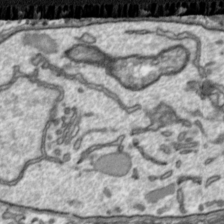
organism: Toxoplasma gondii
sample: Parasites in a vacuole inside a host cell